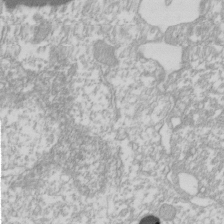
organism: Xenopus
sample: Cilia; centrioles in frog embryo cells